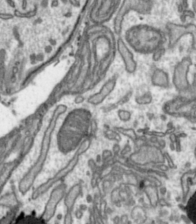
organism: Toxoplasma gondii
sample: Parasites in a vacuole inside a host cell